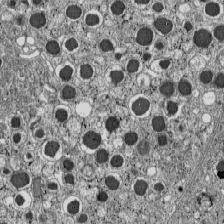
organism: C57BL Mouse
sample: Pancreatic islet